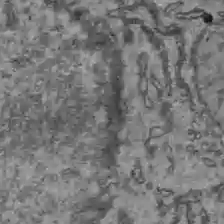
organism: C57BL Mouse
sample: Liver